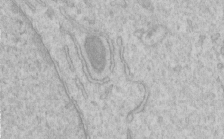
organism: Human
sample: Centriole in RPE cells